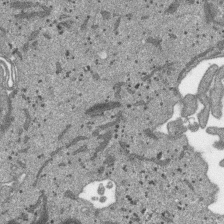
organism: Human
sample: Lung epithelial cells infected with SARS-CoV-2